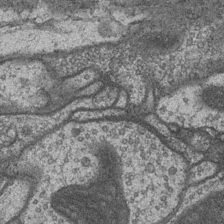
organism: Drosophila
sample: Optic medulla